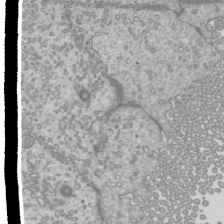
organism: Mouse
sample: Cilia; mouse epididymis